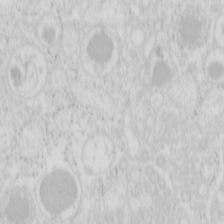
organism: Mouse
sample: Pancreas